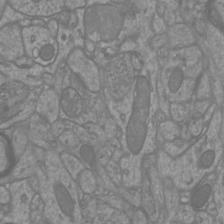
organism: Mouse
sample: Cortical neurons